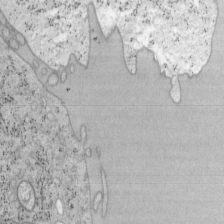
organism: Mouse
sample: OT-I killer T cells with ID8 ovarian cancer cells